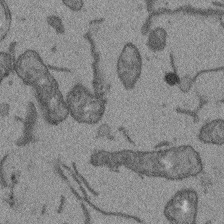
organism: Arabidopsis thaliana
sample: Root tip